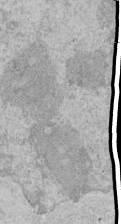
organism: Human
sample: Mitochondria in HCT116 cells